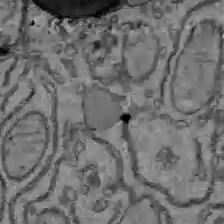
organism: C57BL Mouse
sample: Liver